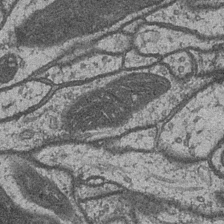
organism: Drosophila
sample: Optic medulla